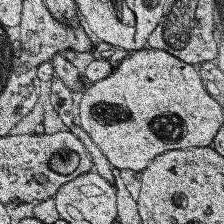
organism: Human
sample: Temporal Lobe